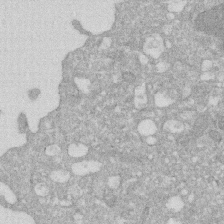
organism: Human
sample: HIV infected U937 cells